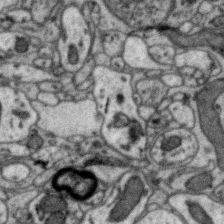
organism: Zebra finch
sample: Brain